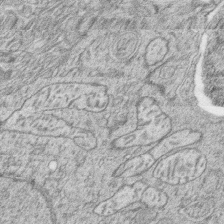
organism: Zebrafish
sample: synaptic ribbons in rod cells and cone cells